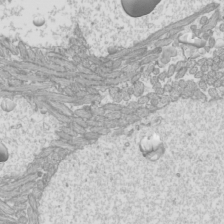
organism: Mouse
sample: Cilia; mouse epididymis